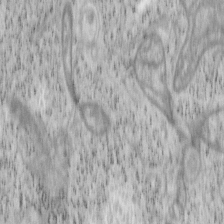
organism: Human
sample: HeLa cells